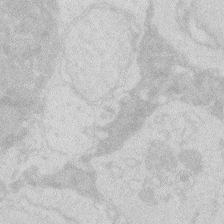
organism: Zebrafish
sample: Macrophage